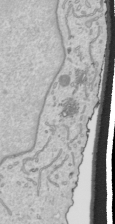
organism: Human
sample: Mitochondria in HCT116 cells